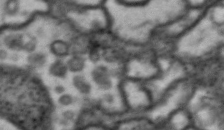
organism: Drosophila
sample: Brain